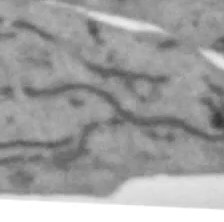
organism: Human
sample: SH-SY5Y cells